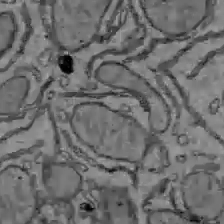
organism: C57BL Mouse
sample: Liver